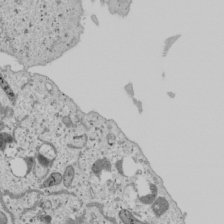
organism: Human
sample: Mitochondria in U2OS cells